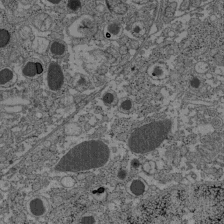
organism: C57BL Mouse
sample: Pancreatic islet